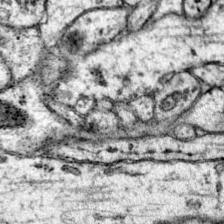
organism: Mouse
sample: Primary visual cortex